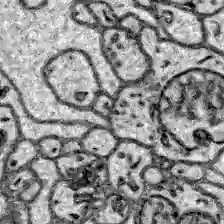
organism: Zebrafish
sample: Brain